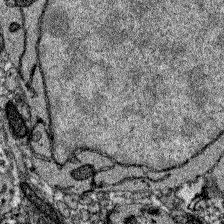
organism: Zebrafish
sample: Larval olfactory bulb